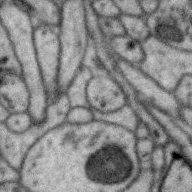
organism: Zebra finch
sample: Brain